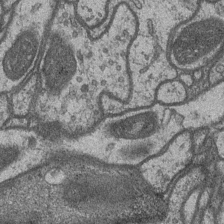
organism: Drosophila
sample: Optic medulla